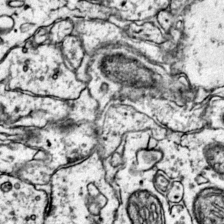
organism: Mouse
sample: Primary visual cortex